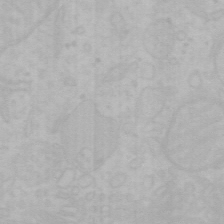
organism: Mouse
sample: Choroid plexus